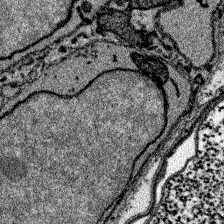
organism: Zebrafish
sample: Larval olfactory bulb